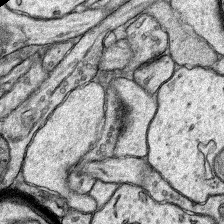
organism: Rat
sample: Hippocampus